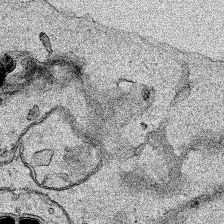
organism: Human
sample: Mitochondria in HCT116 cells